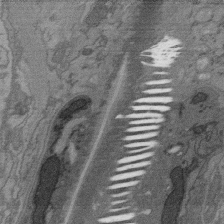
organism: C. elegans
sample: AFD neurons C. elegans